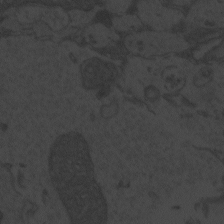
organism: Zebrafish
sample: Macrophage infected with Toxoplasma gondii